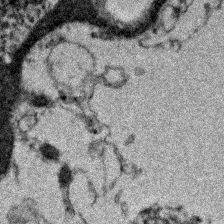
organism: Zebrafish